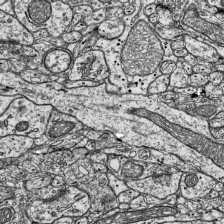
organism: Mouse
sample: Visual Cortex